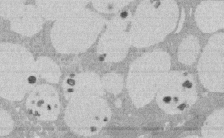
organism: Rat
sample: Salivary granule